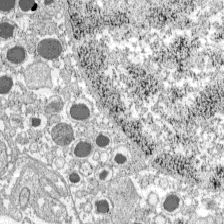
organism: C57BL Mouse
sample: Pancreatic islet